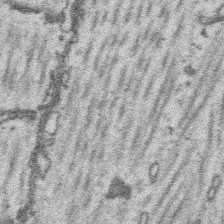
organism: Platynereis dumerilii